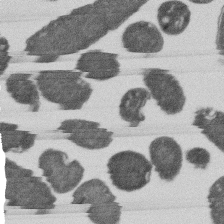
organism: E. coli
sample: Bacterial nucleoid